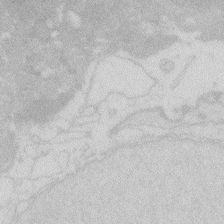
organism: Zebrafish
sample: Macrophage